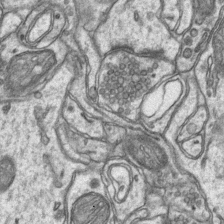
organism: Mouse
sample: CA1 Hippocampus